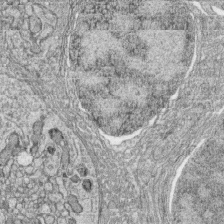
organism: Zebrafish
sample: synaptic ribbons in rod cells and cone cells